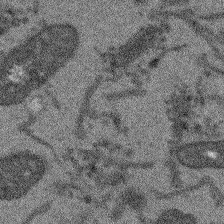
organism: Arabidopsis thaliana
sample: Root tip